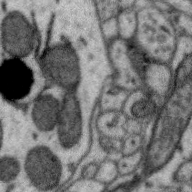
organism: Zebra finch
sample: Brain